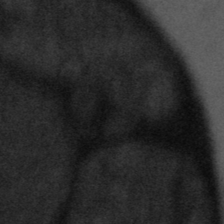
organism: Tuwongella immobilis